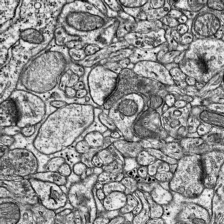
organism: Mouse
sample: Visual Cortex